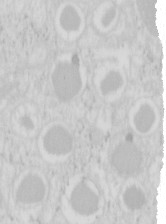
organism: Mouse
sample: Pancreas